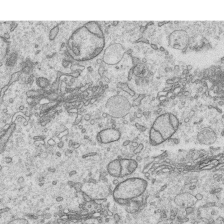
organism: Human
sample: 1205lu cells